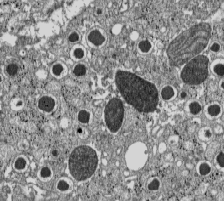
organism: C57BL Mouse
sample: Pancreatic islet